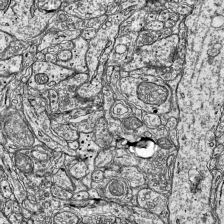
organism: Mouse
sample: Visual Cortex